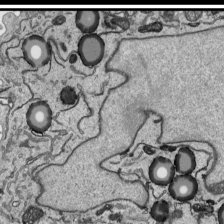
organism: Human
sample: Mitochondria in HCT116 cells